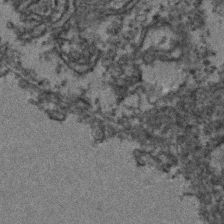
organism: Zebrafish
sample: Zebrafish embryo